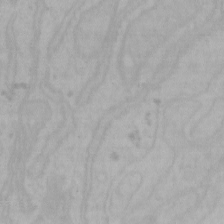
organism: Mouse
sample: Choroid plexus